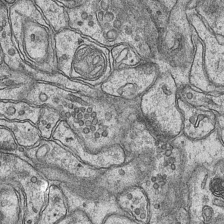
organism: Mouse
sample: CA1 Hippocampus